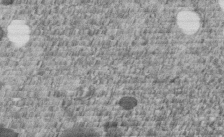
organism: C. elegans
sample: C. elegans embryo early stage